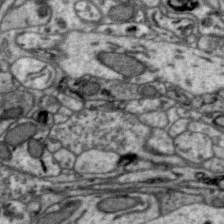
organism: Zebra finch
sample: Brain